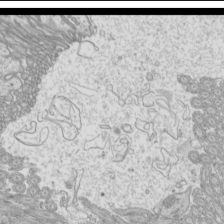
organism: Mouse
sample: Cilia; mouse epididymis